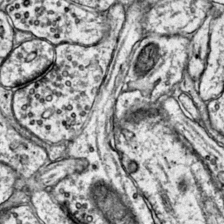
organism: Mouse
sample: Primary visual cortex